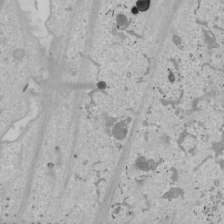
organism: Human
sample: Mitochondria in U2OS cells